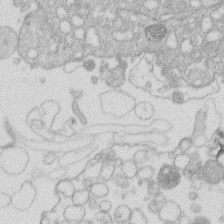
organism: Human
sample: Macrophage cells